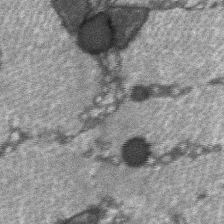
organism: C57BL Mouse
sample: Soleus